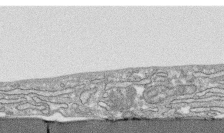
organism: Human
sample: CRL-1474